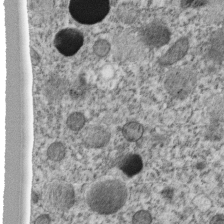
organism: C. elegans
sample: C. elegans embryo early stage